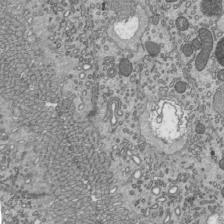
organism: Mouse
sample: Mouse epididymis efferent ductule cilia